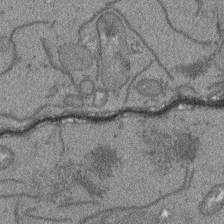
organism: Arabidopsis thaliana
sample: Root tip